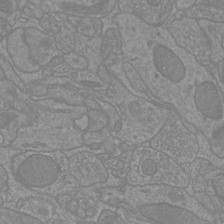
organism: Mouse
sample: Cortical neurons